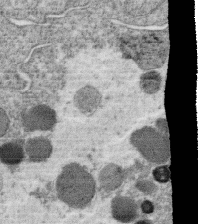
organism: C. elegans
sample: C. elegans oocyte; sperm cells